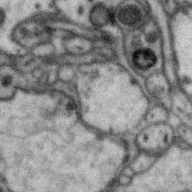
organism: Zebra finch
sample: Brain